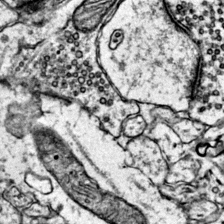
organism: Mouse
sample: Primary visual cortex